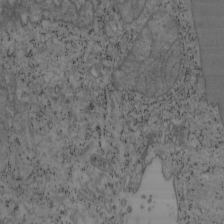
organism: Mouse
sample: OT-I killer T cells with ID8 ovarian cancer cells